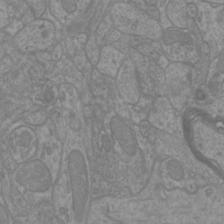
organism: Mouse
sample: Cortical neurons